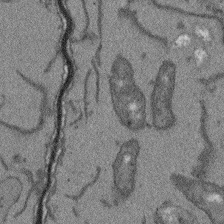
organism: Arabidopsis thaliana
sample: Root tip